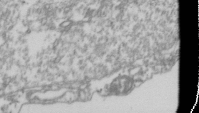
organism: Drosophila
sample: Cell division; meiosis; drosophila spermatocytes